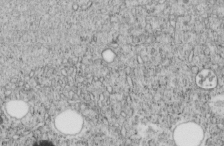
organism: C. elegans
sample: C. elegans embryo early stage